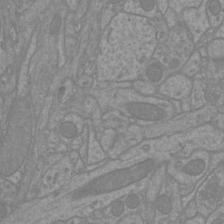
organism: Mouse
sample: Cortical neurons